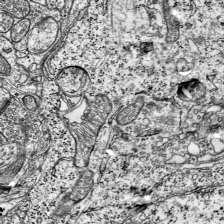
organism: Mouse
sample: Visual Cortex